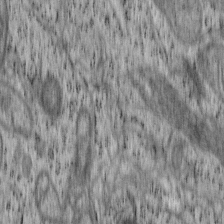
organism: Human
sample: HeLa cells